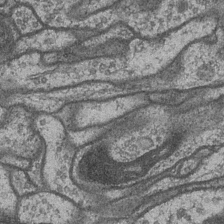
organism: Drosophila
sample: Optic medulla